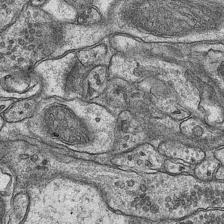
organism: Mouse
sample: CA1 Hippocampus